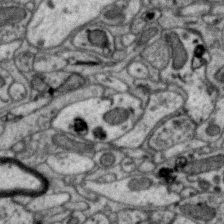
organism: Zebra finch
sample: Brain